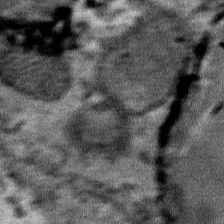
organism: Mouse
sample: Mouse Salivary gland